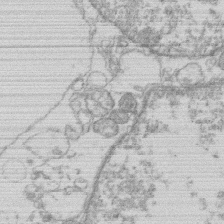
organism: Human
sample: Macrophage cells